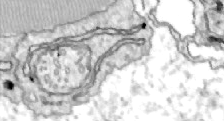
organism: Zebrafish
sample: Actinotrichia fibers